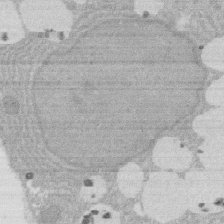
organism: Rat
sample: Salivary granule